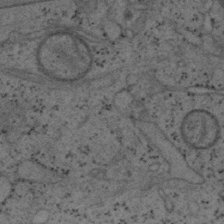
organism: Human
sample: HeLa cells